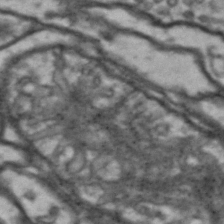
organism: Drosophila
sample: Brain